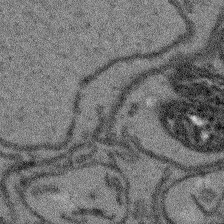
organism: Arabidopsis thaliana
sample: Root tip